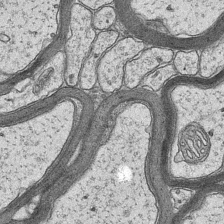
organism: Mouse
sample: CA1 Hippocampus